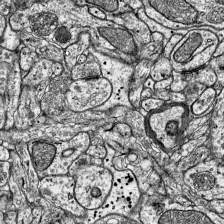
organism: Mouse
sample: Visual Cortex